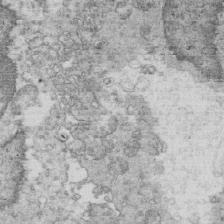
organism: Mouse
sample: Multiciliated cells